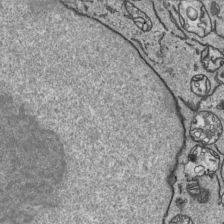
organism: Human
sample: Mitochondria in HCT116 cells